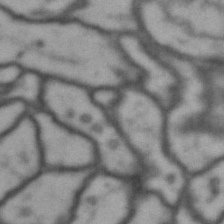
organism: Drosophila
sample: Brain